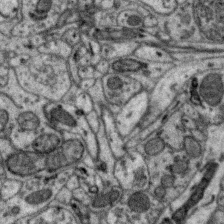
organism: Zebra finch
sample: Brain